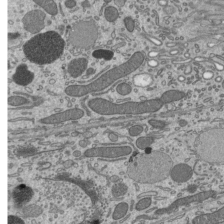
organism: Mouse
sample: Mouse epididymis efferent ductule cilia